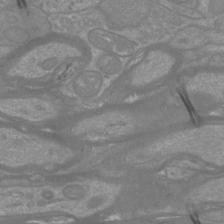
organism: Mouse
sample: Cortical neurons